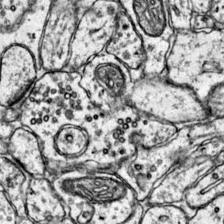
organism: Mouse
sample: Primary visual cortex